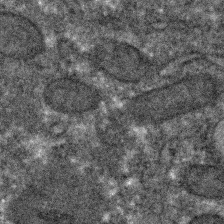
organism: C. elegans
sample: C. elegans embryo